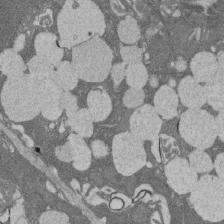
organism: Rat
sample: Salivary granule